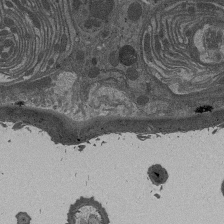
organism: Drosophila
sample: Antenna